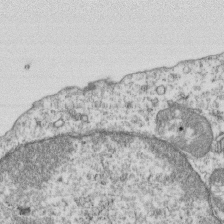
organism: Mouse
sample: Activated OT-1 CD8+ T cells